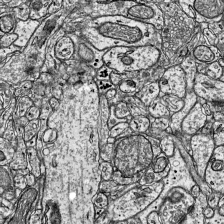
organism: Mouse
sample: Visual Cortex